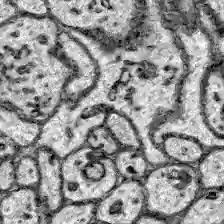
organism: Zebrafish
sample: Brain